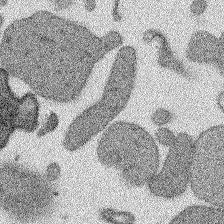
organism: Human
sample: HeLa cells